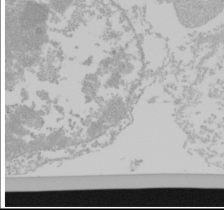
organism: Mouse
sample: Cancer cell death in ED-1 cells